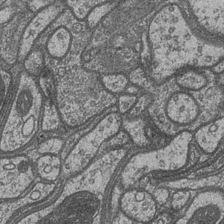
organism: Drosophila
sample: Optic medulla